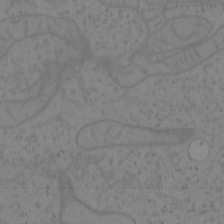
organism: Human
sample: HeLa cells